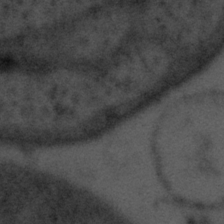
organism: Tuwongella immobilis